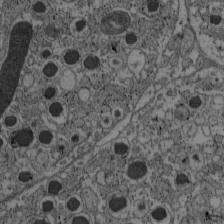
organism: C57BL Mouse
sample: Pancreatic islet